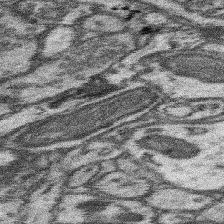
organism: Mouse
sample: Somatosensory cortex neuropil